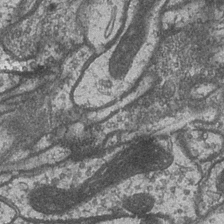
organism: Drosophila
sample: Optic medulla